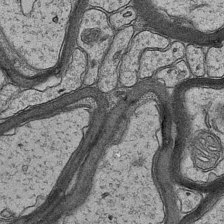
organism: Mouse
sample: CA1 Hippocampus